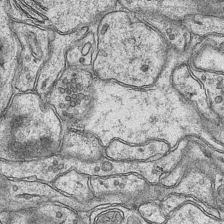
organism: Mouse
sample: CA1 Hippocampus